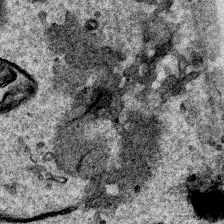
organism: Human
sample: Mitochondria in HCT116 cells